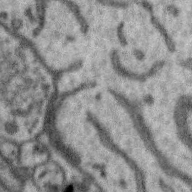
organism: Zebra finch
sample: Brain